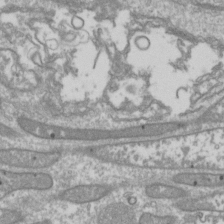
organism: Drosophila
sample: Cell division; meiosis; drosophila spermatocytes